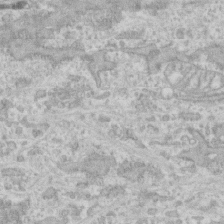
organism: Human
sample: CRL-1474